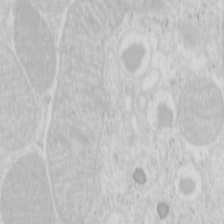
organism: Mouse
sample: Pancreas